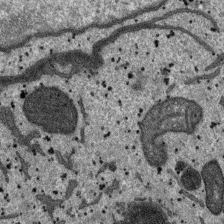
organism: Human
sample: Lung epithelial cells, uninfected (mock) control